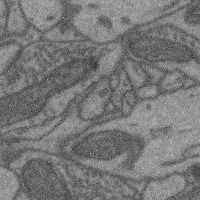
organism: Mouse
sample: Cerebral cortex